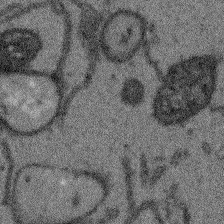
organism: Arabidopsis thaliana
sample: Root tip